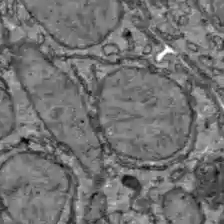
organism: C57BL Mouse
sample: Liver